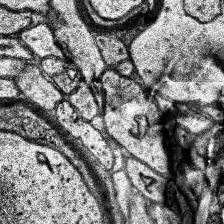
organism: Human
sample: Temporal Lobe